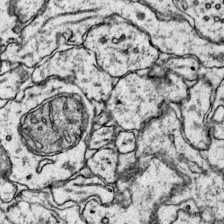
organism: Mouse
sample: Primary visual cortex